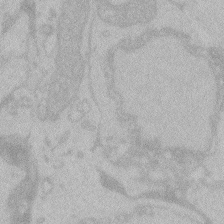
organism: Zebrafish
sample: Macrophage infected with Toxoplasma gondii